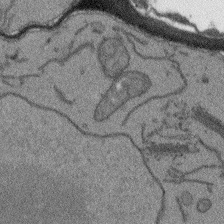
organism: Arabidopsis thaliana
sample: Root tip